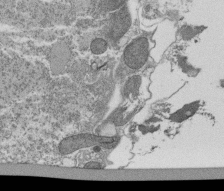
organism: Tetrahymena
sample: Cilia in tetrahymena